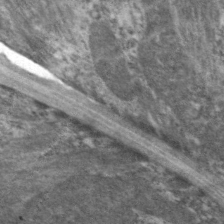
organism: C. elegans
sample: Pharynx